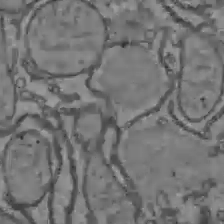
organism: C57BL Mouse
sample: Liver